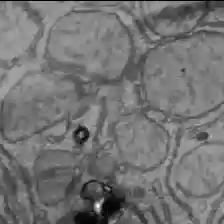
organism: C57BL Mouse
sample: Liver